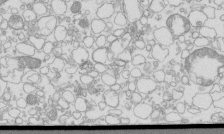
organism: Mouse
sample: Macrophages